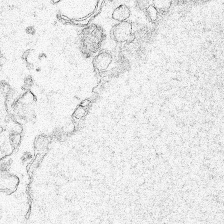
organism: Human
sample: Mitochondria in HCT116 cells